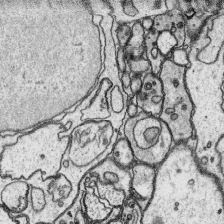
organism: Platynereis dumerilii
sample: Parapodia